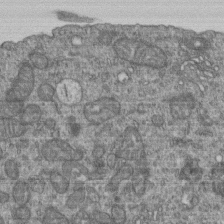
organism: Human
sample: Retinal organoid Rod and Cone cells